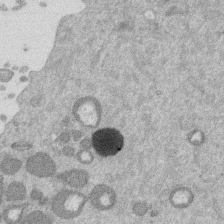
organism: Mouse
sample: Dividing mouse embryo 1 cell stage